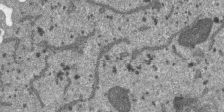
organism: Human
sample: Lung epithelial cells infected with SARS-CoV-2